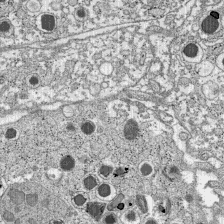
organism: C57BL Mouse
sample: Pancreatic islet